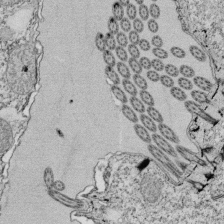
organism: Tetrahymena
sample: Cilia in tetrahymena